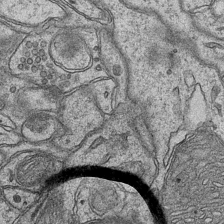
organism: Mouse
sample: CA1 Hippocampus